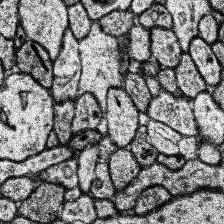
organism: Human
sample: Temporal Lobe